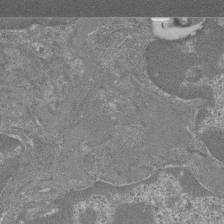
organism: Mouse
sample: Glomerulus